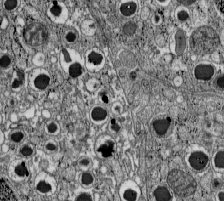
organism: C57BL Mouse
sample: Pancreatic islet